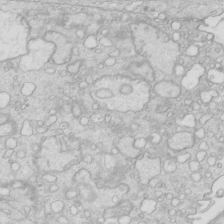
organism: Mouse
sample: Multiciliated cells